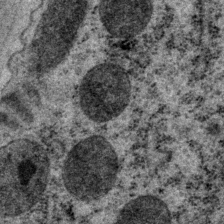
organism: P. pacificus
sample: Pharynx